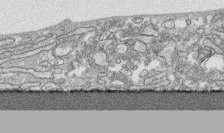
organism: Human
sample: CRL-1474